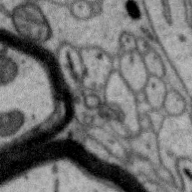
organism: Zebra finch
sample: Brain